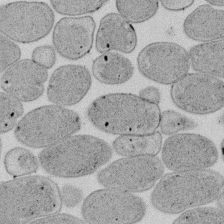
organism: E. coli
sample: Bacterial nucleoid